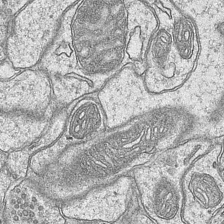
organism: Mouse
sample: CA1 Hippocampus